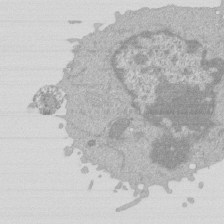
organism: Mouse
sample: Activated Pmel transgenic CD8+ T Cells